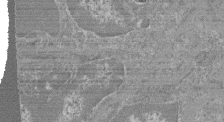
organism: Mouse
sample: Glomerulus